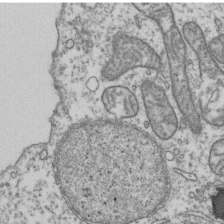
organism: Human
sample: Activated Jurkat CD4+ T cells